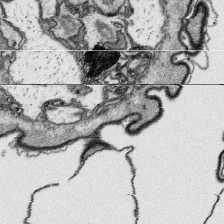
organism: Platynereis dumerilii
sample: Parapodia